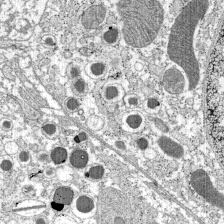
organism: C57BL Mouse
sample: Pancreatic islet